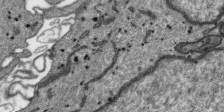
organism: Human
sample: Lung epithelial cells, uninfected (mock) control